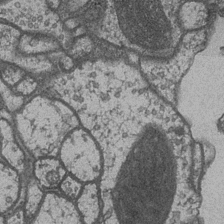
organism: Drosophila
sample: Optic medulla